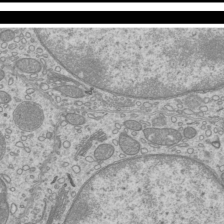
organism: Mouse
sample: Cilia; mouse epididymis